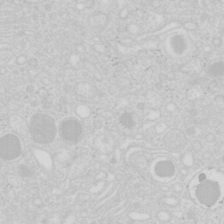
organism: Mouse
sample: Pancreas